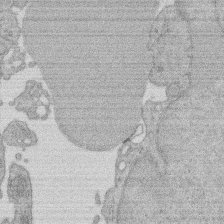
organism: Rat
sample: Salivary granule